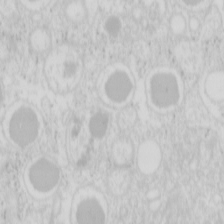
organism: Mouse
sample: Pancreas